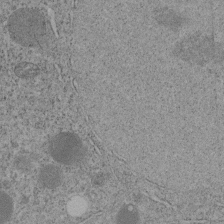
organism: C. elegans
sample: C. elegans embryo early stage